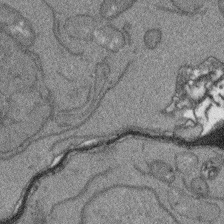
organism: Arabidopsis thaliana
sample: Root tip